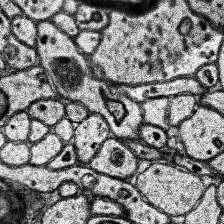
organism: Human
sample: Temporal Lobe